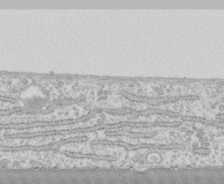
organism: Human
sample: CRL-1474